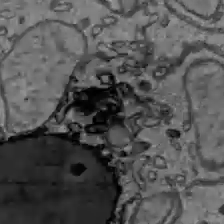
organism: C57BL Mouse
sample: Liver